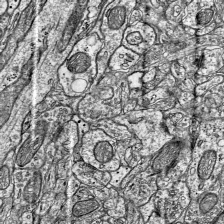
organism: Mouse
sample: Visual Cortex